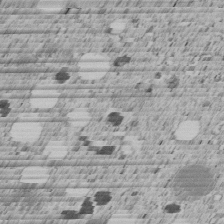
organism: C. elegans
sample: C. elegans embryo early stage